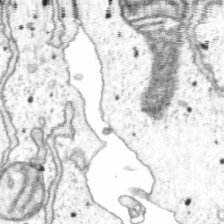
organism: Human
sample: HeLa cells